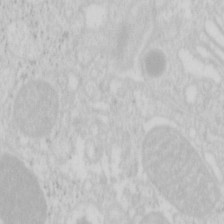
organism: Mouse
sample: Pancreas